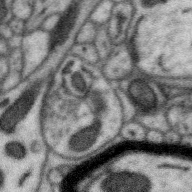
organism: Zebra finch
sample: Brain